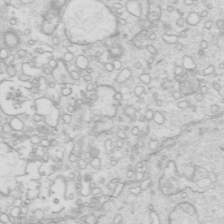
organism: Mouse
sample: Multiciliated cells